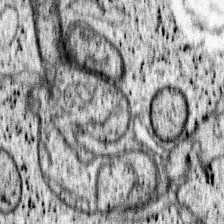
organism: Human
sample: HeLa cells